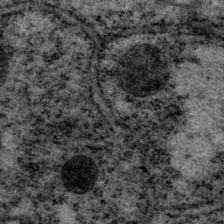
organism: P. pacificus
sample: Pharynx